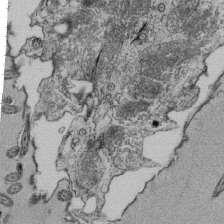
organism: Tetrahymena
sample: Cilia in tetrahymena